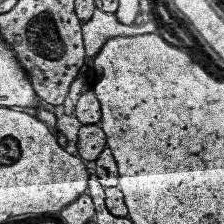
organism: Human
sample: Temporal Lobe